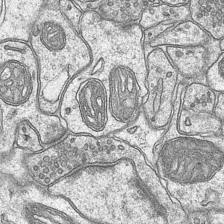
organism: Mouse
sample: CA1 Hippocampus